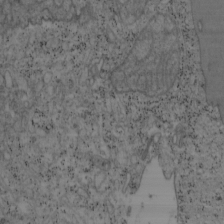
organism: Mouse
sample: OT-I killer T cells with ID8 ovarian cancer cells